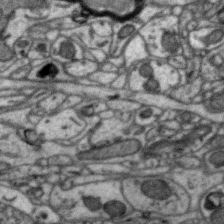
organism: Zebra finch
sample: Brain